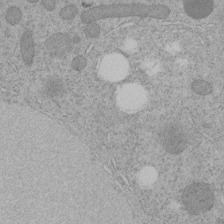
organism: C. elegans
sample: C. elegans embryo early stage